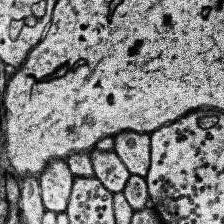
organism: Human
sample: Temporal Lobe